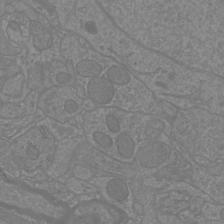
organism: Mouse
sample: Cortical neurons